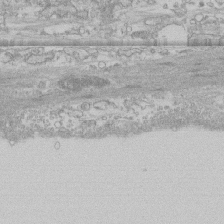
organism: Human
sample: CRL-1474